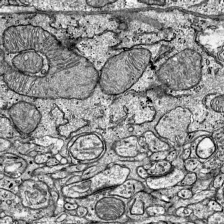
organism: Mouse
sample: Visual Cortex